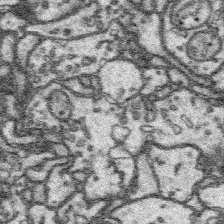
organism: Platynereis dumerilii